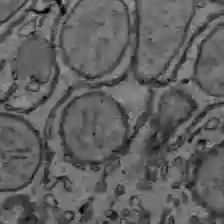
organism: C57BL Mouse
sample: Liver